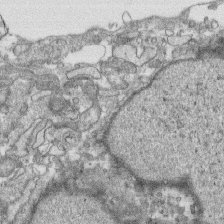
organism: Human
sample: CRL-1474